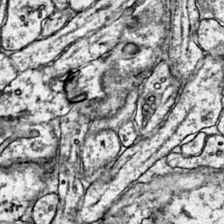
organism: Mouse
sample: Primary visual cortex